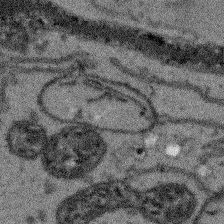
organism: Arabidopsis thaliana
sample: Root tip